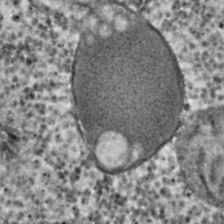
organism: C. elegans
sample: C. elegans embryo